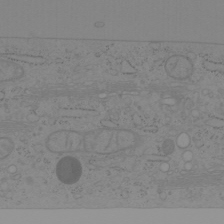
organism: Human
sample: HeLa cells